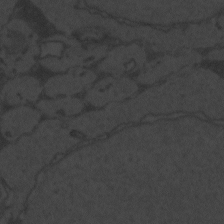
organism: Zebrafish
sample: Macrophage infected with Toxoplasma gondii